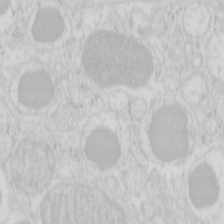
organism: Mouse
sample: Pancreas